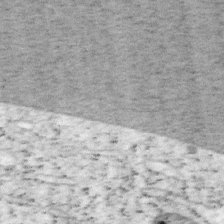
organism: Mouse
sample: OT-I killer T cells with ID8 ovarian cancer cells